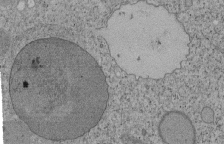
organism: Tetrahymena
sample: Cilia in tetrahymena